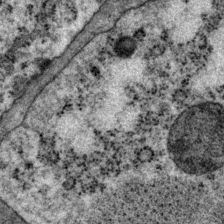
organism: P. pacificus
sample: Pharynx